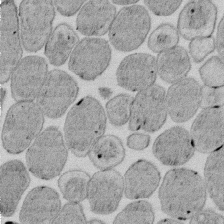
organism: E. coli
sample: Bacterial nucleoid